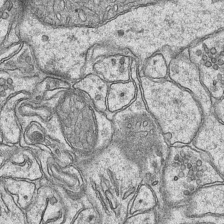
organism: Mouse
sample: CA1 Hippocampus